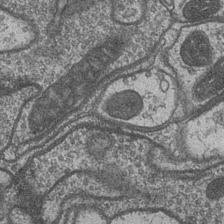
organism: Drosophila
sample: Optic medulla